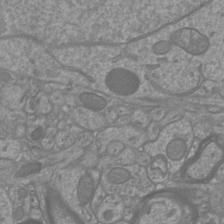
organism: Mouse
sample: Cortical neurons